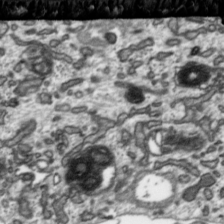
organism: Toxoplasma gondii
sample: Parasites in a vacuole inside a host cell